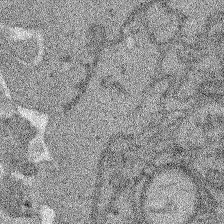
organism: Human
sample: HeLa cells